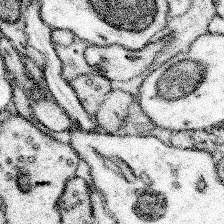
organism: Mouse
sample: Somatosensory cortex neuropil